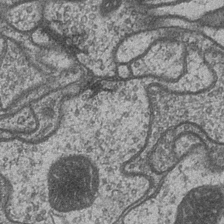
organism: Drosophila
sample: Optic medulla